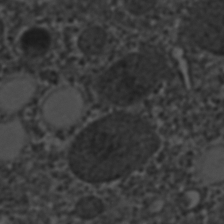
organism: C. elegans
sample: C. elegans embryo